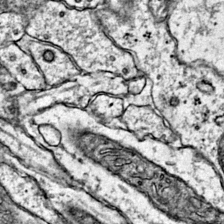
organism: Mouse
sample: Primary visual cortex